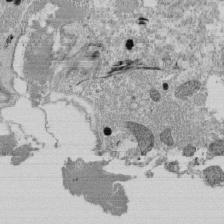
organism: Tetrahymena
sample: Cilia in tetrahymena